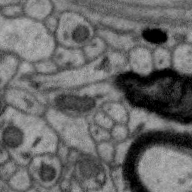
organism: Zebra finch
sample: Brain